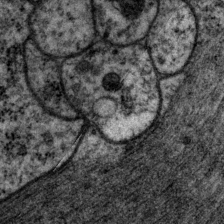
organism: P. pacificus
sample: Pharynx